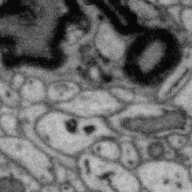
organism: Zebra finch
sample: Brain